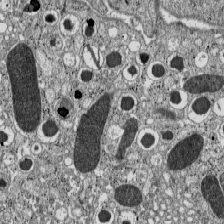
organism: C57BL Mouse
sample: Pancreatic islet